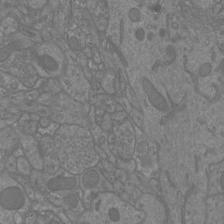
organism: Mouse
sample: Cortical neurons